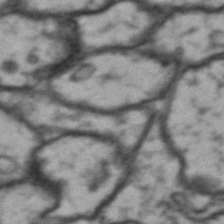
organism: Drosophila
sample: Brain